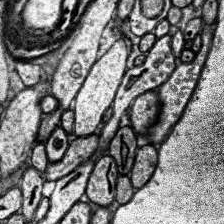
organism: Human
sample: Temporal Lobe